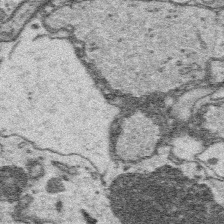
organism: Platynereis dumerilii